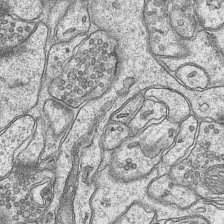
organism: Mouse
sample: CA1 Hippocampus